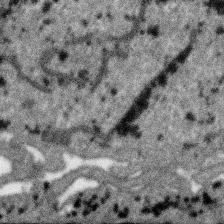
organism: Human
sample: Lung epithelial cells infected with SARS-CoV-2